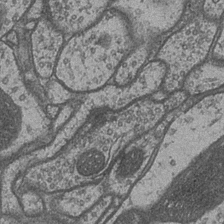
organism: Drosophila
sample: Optic medulla